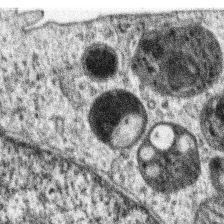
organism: Human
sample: HeLa cells